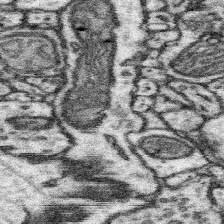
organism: Mouse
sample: Somatosensory cortex neuropil